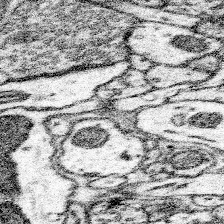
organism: Mouse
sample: Somatosensory cortex neuropil